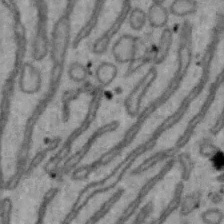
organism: Mouse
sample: Liver